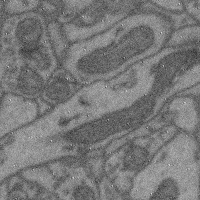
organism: Mouse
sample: Cerebral cortex